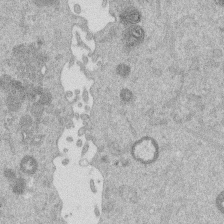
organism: Mouse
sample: Dividing mouse embryo 1 cell stage